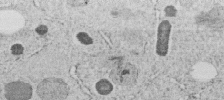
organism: C. elegans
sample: C. elegans embryo early stage